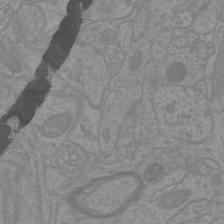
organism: Mouse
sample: Cortical neurons